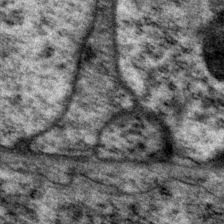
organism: P. pacificus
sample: Pharynx